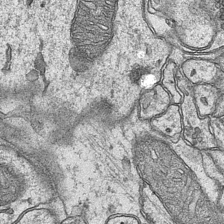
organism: Mouse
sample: CA1 Hippocampus